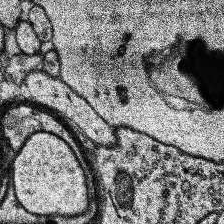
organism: Human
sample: Temporal Lobe